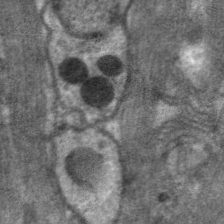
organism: C. elegans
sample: Pharynx